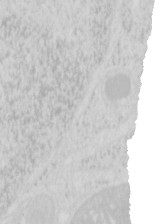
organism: Mouse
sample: Pancreas